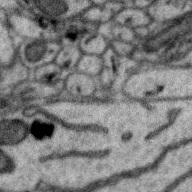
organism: Zebra finch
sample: Brain